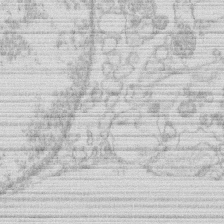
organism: Human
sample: Macrophage cells